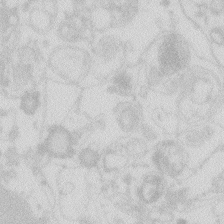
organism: Zebrafish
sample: Macrophage